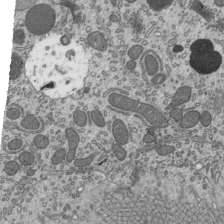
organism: Mouse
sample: Mouse epididymis efferent ductule cilia